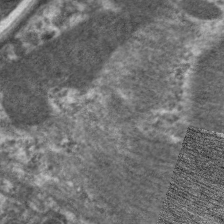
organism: C. elegans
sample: Pharynx